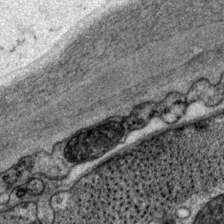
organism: P. pacificus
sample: Pharynx